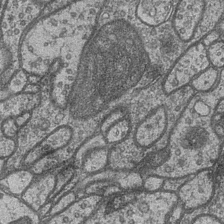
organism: Drosophila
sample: Optic medulla